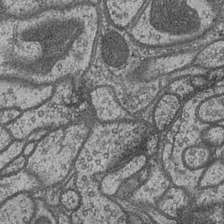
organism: Drosophila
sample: Optic medulla